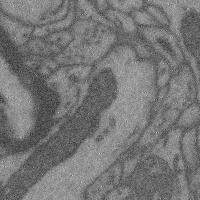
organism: Mouse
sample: Cerebral cortex